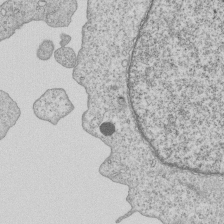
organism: Human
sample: MDA-MB-231 cells